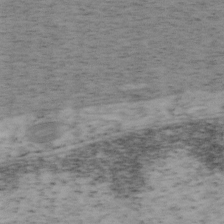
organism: Mouse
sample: OT-I killer T cells with ID8 ovarian cancer cells